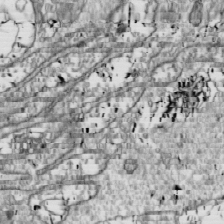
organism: Drosophila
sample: Cell division; meiosis; drosophila spermatocytes